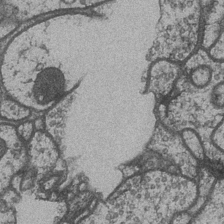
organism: Drosophila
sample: Optic medulla